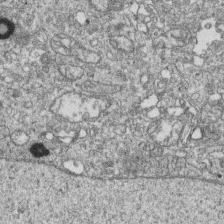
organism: Human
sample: HeLa cell HIV synapse